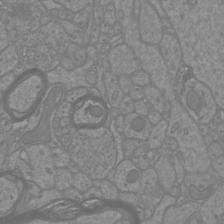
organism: Mouse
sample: Cortical neurons